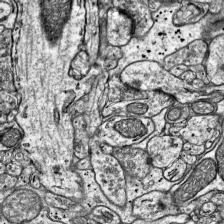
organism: Mouse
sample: Visual Cortex